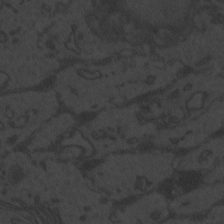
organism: Zebrafish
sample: Macrophage infected with Toxoplasma gondii